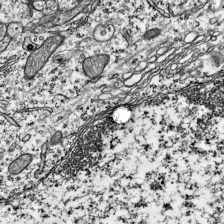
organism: Mouse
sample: Visual Cortex